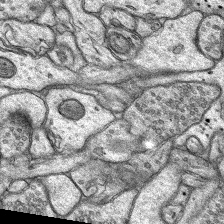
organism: Rat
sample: Hippocampus